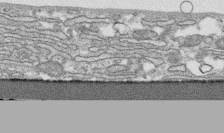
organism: Human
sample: CRL-1474